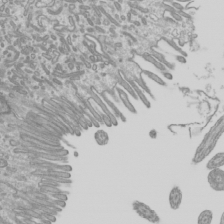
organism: Mouse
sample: Cilia; mouse epididymis